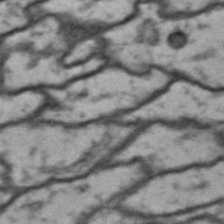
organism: Drosophila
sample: Brain